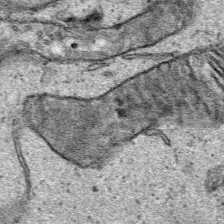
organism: Human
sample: Mitochondria in HCT116 cells